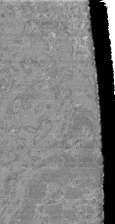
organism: Mouse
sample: Glomerulus